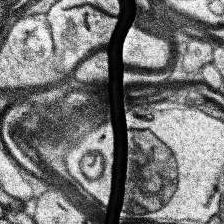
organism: Human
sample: Temporal Lobe